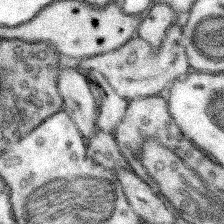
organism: Mouse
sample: Somatosensory cortex neuropil